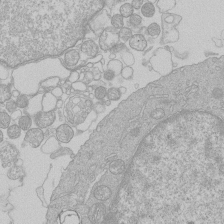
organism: Human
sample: Macrophage cells